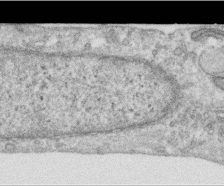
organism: Human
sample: Centriole in RPE cells